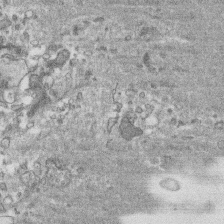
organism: Human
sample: CRL-1474